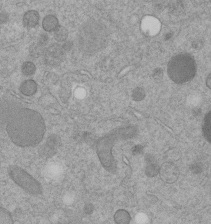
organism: C. elegans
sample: C. elegans embryo early stage